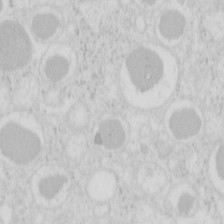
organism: Mouse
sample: Pancreas